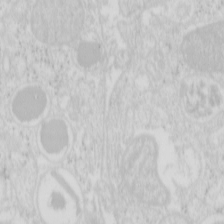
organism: Mouse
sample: Pancreas